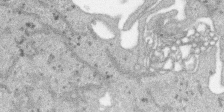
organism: Human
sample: Lung epithelial cells infected with SARS-CoV-2